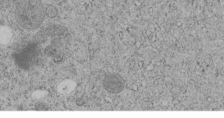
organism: C. elegans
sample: C. elegans embryo early stage